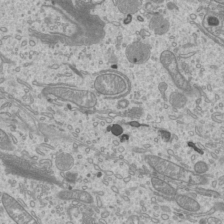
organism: Mouse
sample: Cilia; mouse epididymis